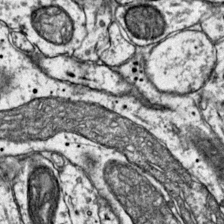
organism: Mouse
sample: Primary visual cortex